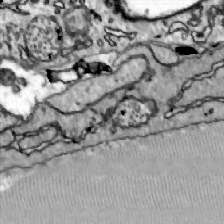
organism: Zebrafish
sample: Actinotrichia fibers